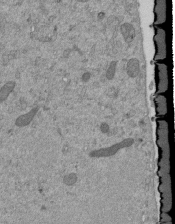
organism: Mouse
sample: ED-1 cell nuclei; centrioles